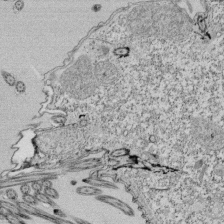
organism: Tetrahymena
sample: Cilia in tetrahymena